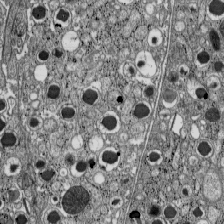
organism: C57BL Mouse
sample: Pancreatic islet